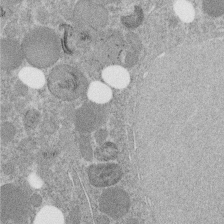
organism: C. elegans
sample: C. elegans embryo early stage